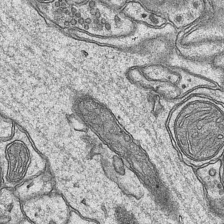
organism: Mouse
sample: CA1 Hippocampus